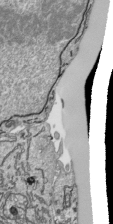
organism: Human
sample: Mitochondria in HCT116 cells